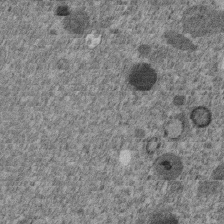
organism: C. elegans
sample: C. elegans embryo early stage